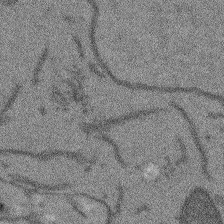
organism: Arabidopsis thaliana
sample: Root tip